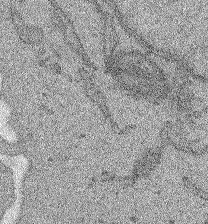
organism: Human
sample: HeLa cells